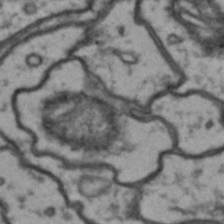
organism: Drosophila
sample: Brain